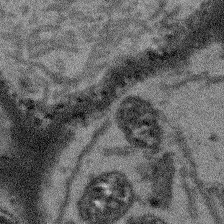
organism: Arabidopsis thaliana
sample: Root tip